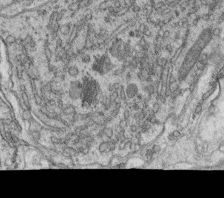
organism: C. elegans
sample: C. elegans oocyte; sperm cells